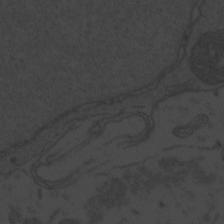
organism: Zebrafish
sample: Macrophage infected with Toxoplasma gondii